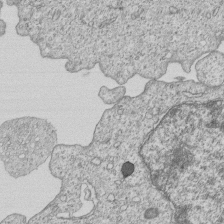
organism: Human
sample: MDA-MB-231 cells